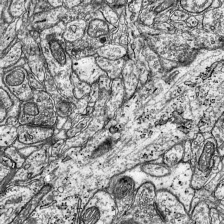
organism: Mouse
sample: Visual Cortex